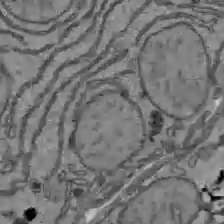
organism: C57BL Mouse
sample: Liver